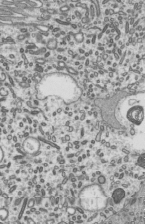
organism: Mouse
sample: Mouse epididymis efferent ductule cilia